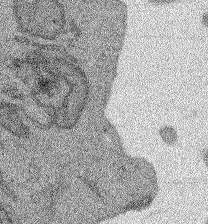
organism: Human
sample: HeLa cells